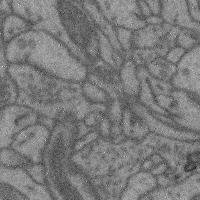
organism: Mouse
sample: Cerebral cortex